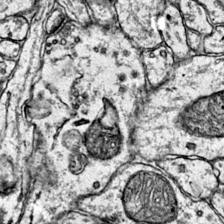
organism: Mouse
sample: Primary visual cortex